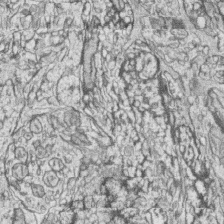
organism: Zebrafish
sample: synaptic ribbons in rod cells and cone cells